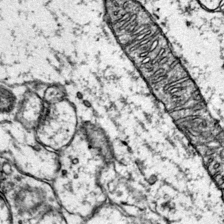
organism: Mouse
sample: Primary visual cortex